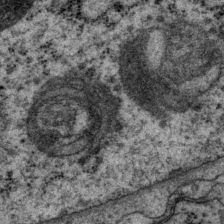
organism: P. pacificus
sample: Pharynx